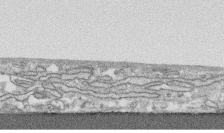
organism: Human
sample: CRL-1474